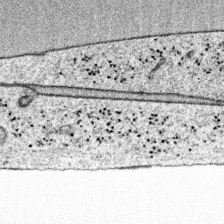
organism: Human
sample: HeLa cells